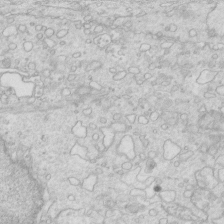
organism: Mouse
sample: Multiciliated cells